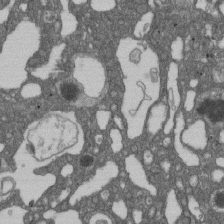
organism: Drosophila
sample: Nephrocyte